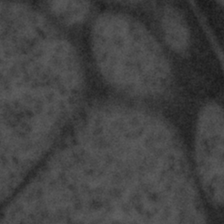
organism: Tuwongella immobilis